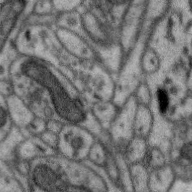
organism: Zebra finch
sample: Brain